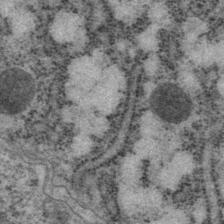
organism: P. pacificus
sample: Pharynx